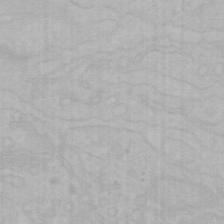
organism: Mouse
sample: Choroid plexus